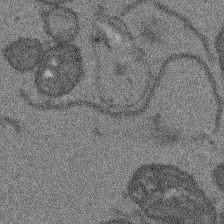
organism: Arabidopsis thaliana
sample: Root tip